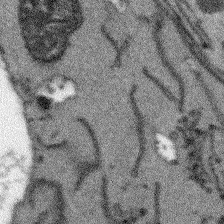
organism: Arabidopsis thaliana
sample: Root tip